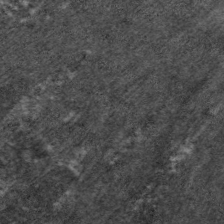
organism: C. elegans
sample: Pharynx